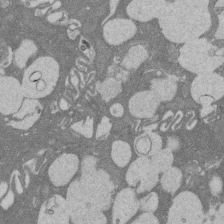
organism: Rat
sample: Salivary granule